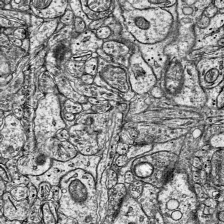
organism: Mouse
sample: Visual Cortex